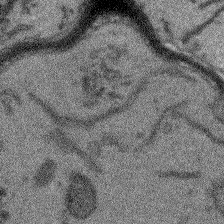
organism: Arabidopsis thaliana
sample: Root tip